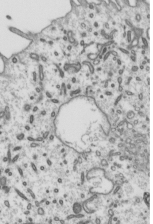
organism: Mouse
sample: Mouse epididymis efferent ductule cilia